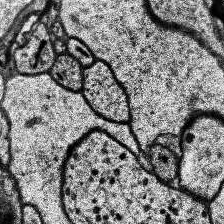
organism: Human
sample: Temporal Lobe